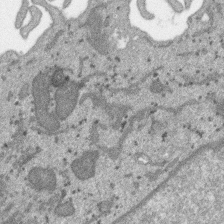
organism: Human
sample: Lung epithelial cells infected with SARS-CoV-2